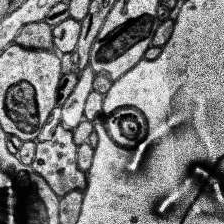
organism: Human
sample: Temporal Lobe